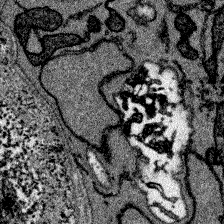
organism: Zebrafish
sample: Larval olfactory bulb